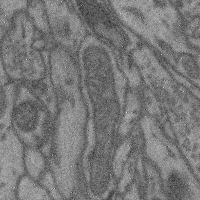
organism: Mouse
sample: Cerebral cortex